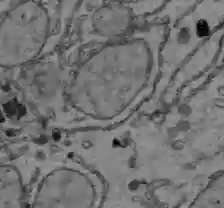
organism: C57BL Mouse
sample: Liver